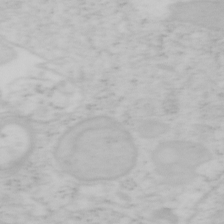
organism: Mouse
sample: OT-I killer T cells with ID8 ovarian cancer cells